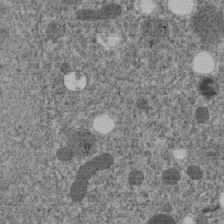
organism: C. elegans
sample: C. elegans embryo early stage